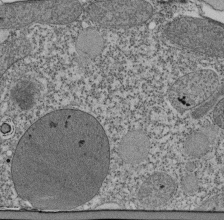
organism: Tetrahymena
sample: Cilia in tetrahymena